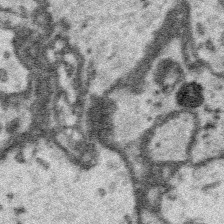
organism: Platynereis dumerilii